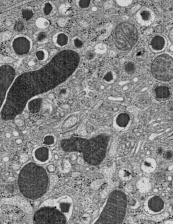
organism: C57BL Mouse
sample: Pancreatic islet